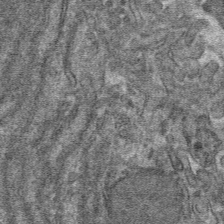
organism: Mouse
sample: Mouse hepatocytes